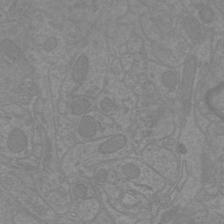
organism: Mouse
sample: Cortical neurons